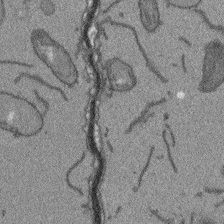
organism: Arabidopsis thaliana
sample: Root tip